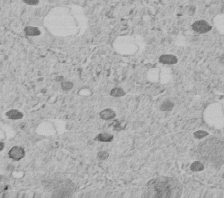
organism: C. elegans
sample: C. elegans embryo early stage